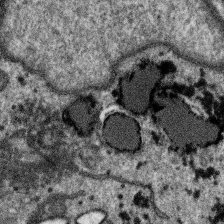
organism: Human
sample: Lung epithelial cells infected with SARS-CoV-2